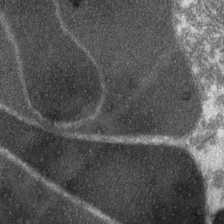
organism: Zebrafish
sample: Zebrafish embryo